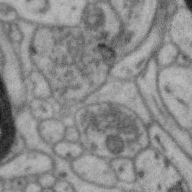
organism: Zebra finch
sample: Brain